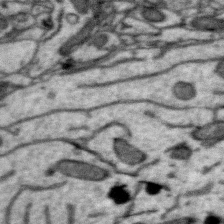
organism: Zebra finch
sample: Brain